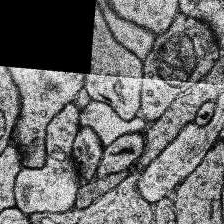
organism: Human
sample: Temporal Lobe